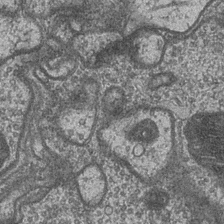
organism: Drosophila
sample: Optic medulla